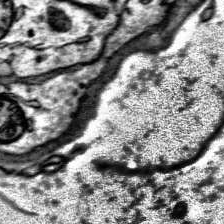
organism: Human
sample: Temporal Lobe